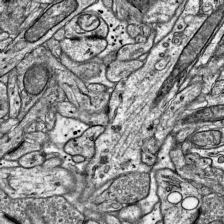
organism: Mouse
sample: Visual Cortex